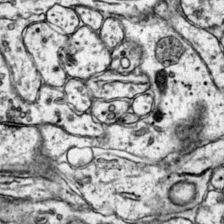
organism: Mouse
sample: Primary visual cortex